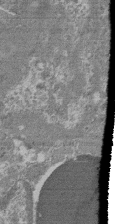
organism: Mouse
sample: Glomerulus